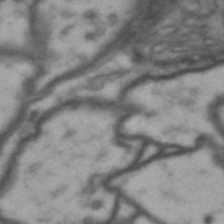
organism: Drosophila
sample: Brain